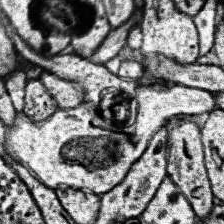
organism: Human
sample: Temporal Lobe